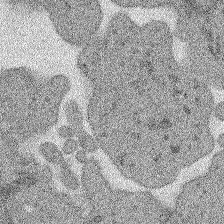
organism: Human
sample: HeLa cells